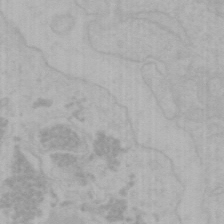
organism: Mouse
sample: Choroid plexus